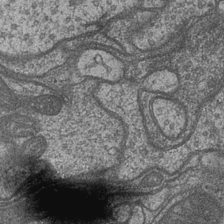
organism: Drosophila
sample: Optic medulla